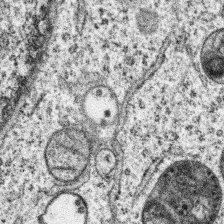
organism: Human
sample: HeLa cells